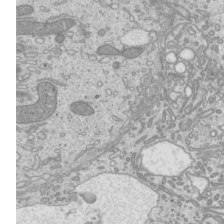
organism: Mouse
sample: Cilia; mouse epididymis